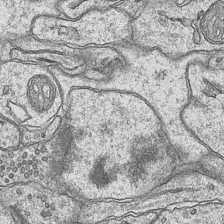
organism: Mouse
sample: CA1 Hippocampus